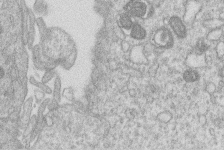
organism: Human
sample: Macrophage cells